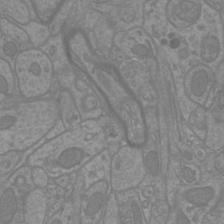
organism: Mouse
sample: Cortical neurons